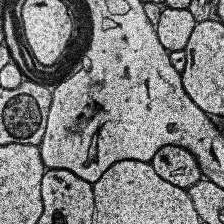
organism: Human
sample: Temporal Lobe